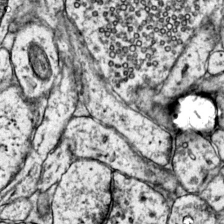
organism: Mouse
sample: Primary visual cortex